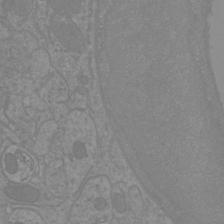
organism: Mouse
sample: Cortical neurons